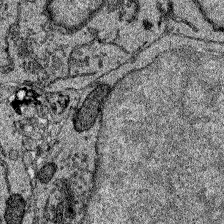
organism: Zebrafish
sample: Larval olfactory bulb